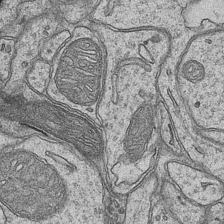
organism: Mouse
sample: CA1 Hippocampus